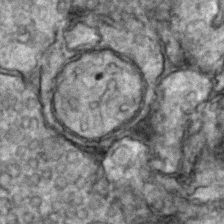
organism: Zebrafish